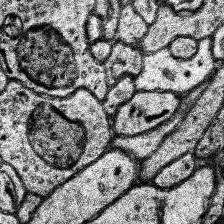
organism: Human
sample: Temporal Lobe